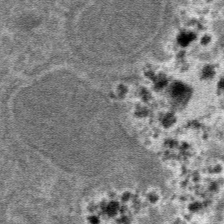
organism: Mouse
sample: Mouse hepatocytes